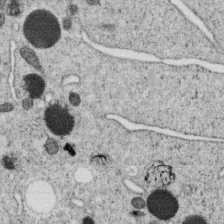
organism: C. elegans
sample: C. elegans oocyte; sperm cells